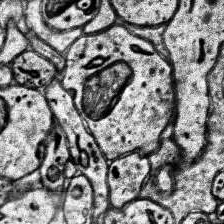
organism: Human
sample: Temporal Lobe